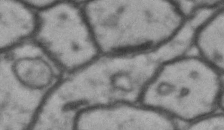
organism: Drosophila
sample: Brain